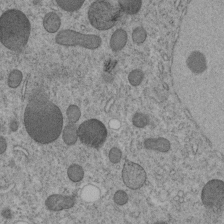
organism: C. elegans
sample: C. elegans embryo early stage